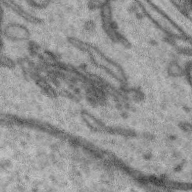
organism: Zebra finch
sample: Brain